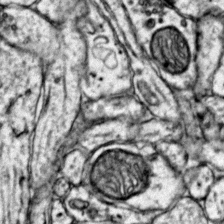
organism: Mouse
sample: Primary visual cortex